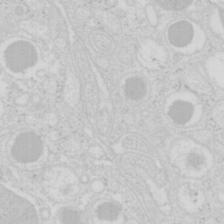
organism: Mouse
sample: Pancreas